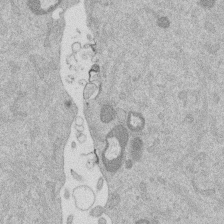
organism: Mouse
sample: Dividing mouse embryo 1 cell stage